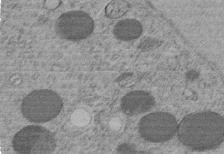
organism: C. elegans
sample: C. elegans embryo early stage